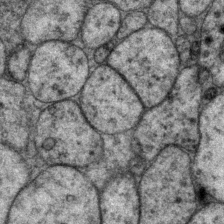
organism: P. pacificus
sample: Pharynx